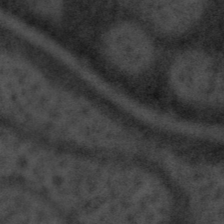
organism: Tuwongella immobilis